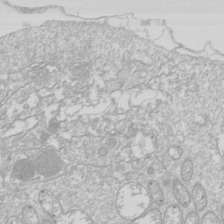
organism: Drosophila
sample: Cell division; meiosis; drosophila spermatocytes